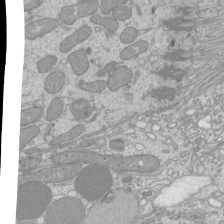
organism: Mouse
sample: Cilia; mouse epididymis